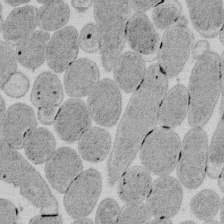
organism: E. coli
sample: Bacterial nucleoid